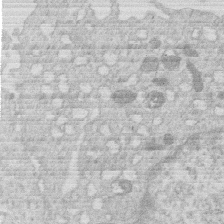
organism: Human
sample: Macrophage cells